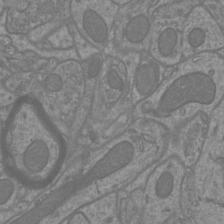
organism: Mouse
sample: Cortical neurons